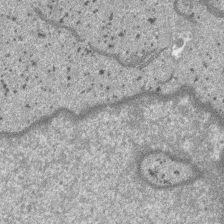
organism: Human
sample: Lung epithelial cells infected with SARS-CoV-2